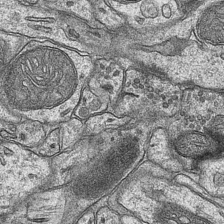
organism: Mouse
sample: CA1 Hippocampus